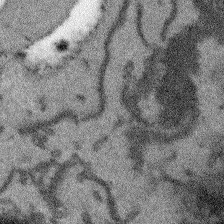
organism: Arabidopsis thaliana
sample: Root tip